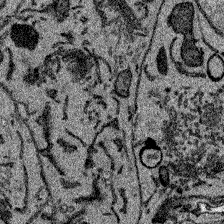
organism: Zebrafish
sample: Larval olfactory bulb